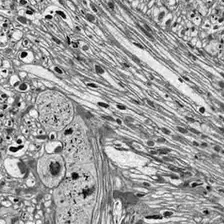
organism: Drosophila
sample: Optic lobe